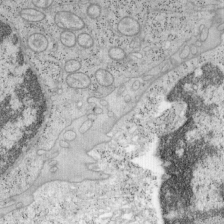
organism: Mouse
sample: OT-I killer T cells with ID8 ovarian cancer cells